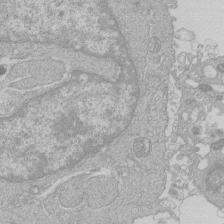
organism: Human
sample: Macrophage cells